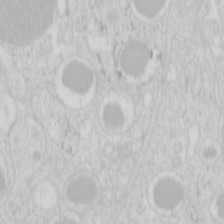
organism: Mouse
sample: Pancreas